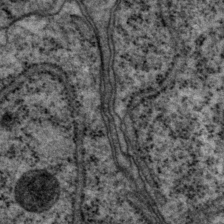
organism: P. pacificus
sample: Pharynx